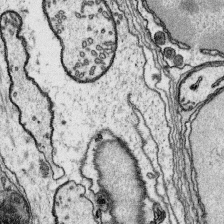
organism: Platynereis dumerilii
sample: Parapodia